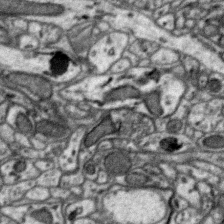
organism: Zebra finch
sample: Brain